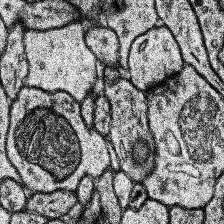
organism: Human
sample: Temporal Lobe